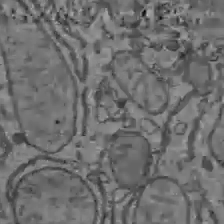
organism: C57BL Mouse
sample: Liver